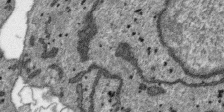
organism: Human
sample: Lung epithelial cells, uninfected (mock) control